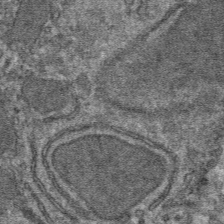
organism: Mouse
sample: Mouse hepatocytes